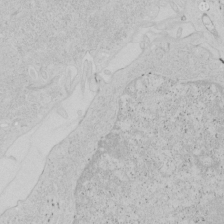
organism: Human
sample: Mitochondria in HCT116 cells